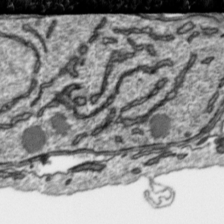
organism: Toxoplasma gondii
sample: Parasites in a vacuole inside a host cell